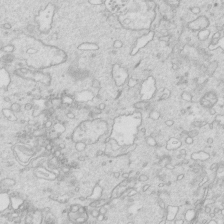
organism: Mouse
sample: Multiciliated cells